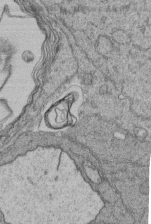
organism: Human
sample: Retinal organoid Rod and Cone cells